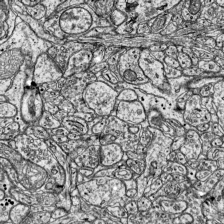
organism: Mouse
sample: Visual Cortex